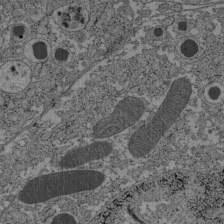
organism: C57BL Mouse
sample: Pancreatic islet